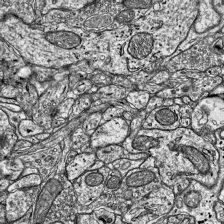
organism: Mouse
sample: Visual Cortex